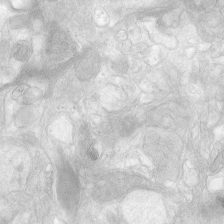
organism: Human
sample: Neocortex